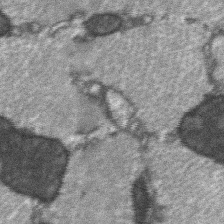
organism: C57BL Mouse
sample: Soleus